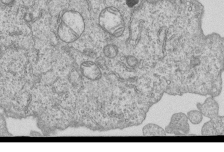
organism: Human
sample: MDA-MB-231 cells